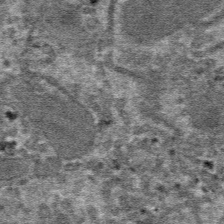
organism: Mouse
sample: Mouse hepatocytes